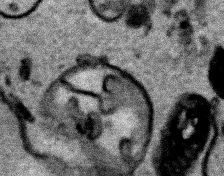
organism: Human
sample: Mitochondria in HCT116 cells